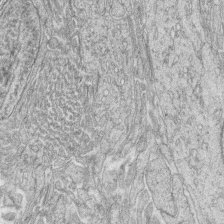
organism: Zebrafish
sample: synaptic ribbons in rod cells and cone cells